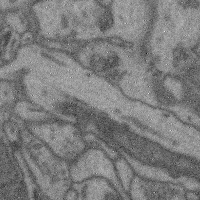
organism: Mouse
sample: Cerebral cortex